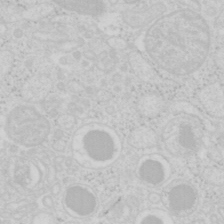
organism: Mouse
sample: Pancreas